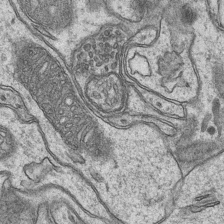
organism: Mouse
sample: CA1 Hippocampus